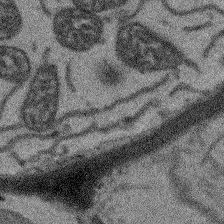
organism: Arabidopsis thaliana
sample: Root tip